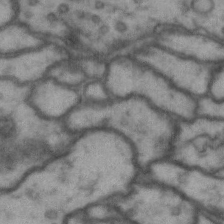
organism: Drosophila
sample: Brain